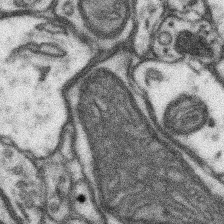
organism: Mouse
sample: Somatosensory cortex neuropil